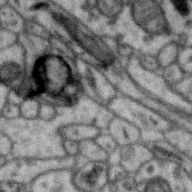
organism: Zebra finch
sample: Brain